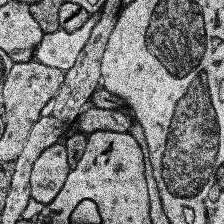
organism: Human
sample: Temporal Lobe